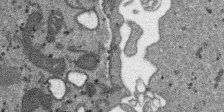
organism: Human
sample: Lung epithelial cells infected with SARS-CoV-2